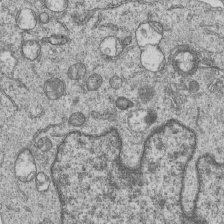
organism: Human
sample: MDA-MB-231 cells